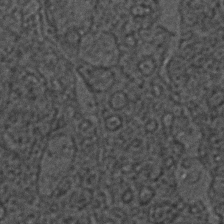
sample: Trachea